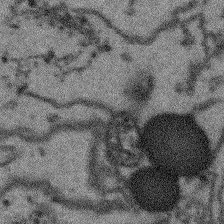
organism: Arabidopsis thaliana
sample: Root tip